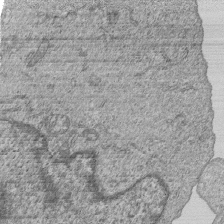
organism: Human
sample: MDA-MB-231 cells